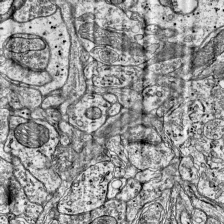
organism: Mouse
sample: Visual Cortex